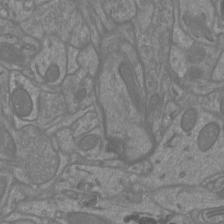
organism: Mouse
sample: Cortical neurons